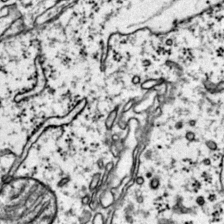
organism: Mouse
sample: Primary visual cortex